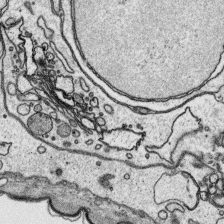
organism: Platynereis dumerilii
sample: Parapodia